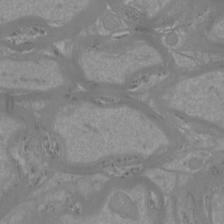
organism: Mouse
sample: Cortical neurons